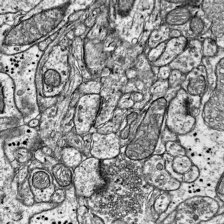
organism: Mouse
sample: Visual Cortex